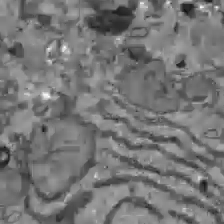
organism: C57BL Mouse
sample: Liver